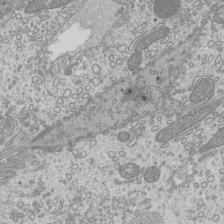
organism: Mouse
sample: Cilia; mouse epididymis